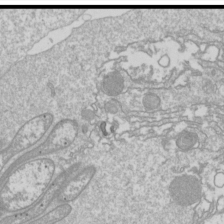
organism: Drosophila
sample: Cell division; meiosis; drosophila spermatocytes